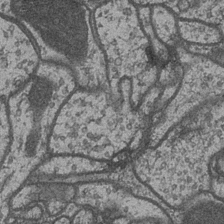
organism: Drosophila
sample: Optic medulla